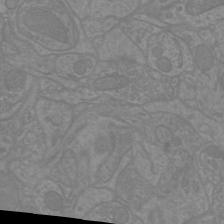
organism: Mouse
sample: Cortical neurons